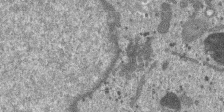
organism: Human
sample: Lung epithelial cells infected with SARS-CoV-2